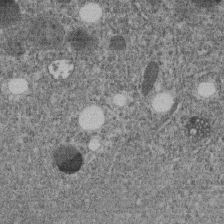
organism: C. elegans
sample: C. elegans embryo early stage